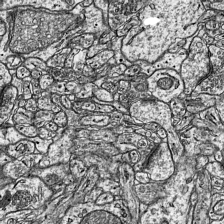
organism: Mouse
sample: Visual Cortex